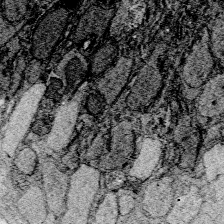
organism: Zebrafish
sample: Whole-Brain